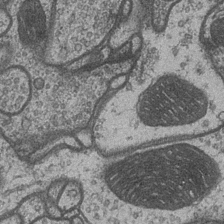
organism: Drosophila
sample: Optic medulla